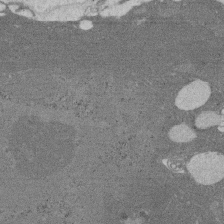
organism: Rat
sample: Salivary granule